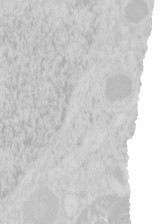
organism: Mouse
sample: Pancreas